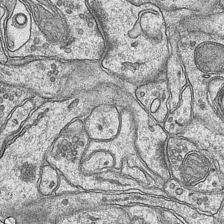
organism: Mouse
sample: CA1 Hippocampus